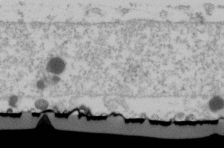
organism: Human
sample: U2-OS cells